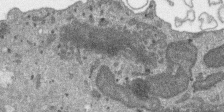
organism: Human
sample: Lung epithelial cells infected with SARS-CoV-2